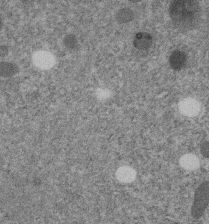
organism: C. elegans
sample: C. elegans embryo early stage